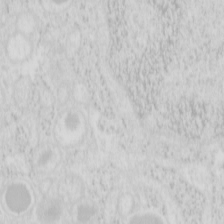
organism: Mouse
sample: Pancreas